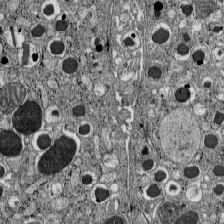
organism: C57BL Mouse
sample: Pancreatic islet